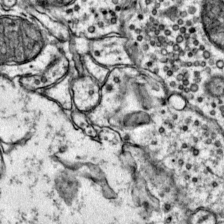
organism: Mouse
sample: Primary visual cortex